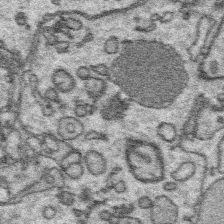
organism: Platynereis dumerilii